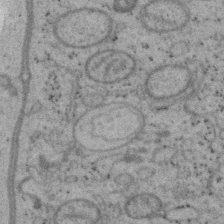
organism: Human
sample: HeLa cells